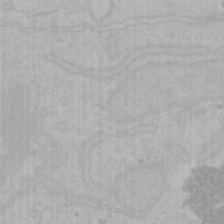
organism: Mouse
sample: Choroid plexus